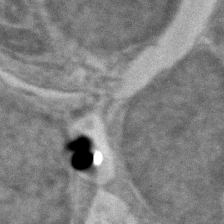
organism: Zebrafish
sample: Zebrafish embryo